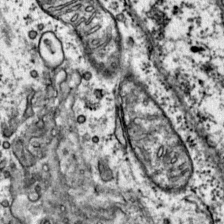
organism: Mouse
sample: Primary visual cortex